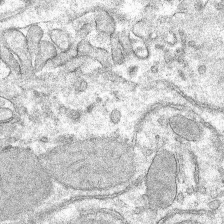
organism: Mouse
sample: Mouse hepatocytes